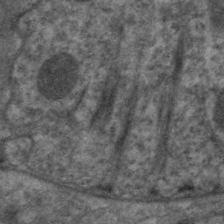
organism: C. elegans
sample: Pharynx